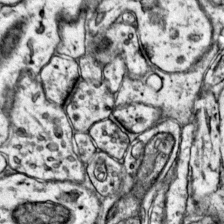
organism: Mouse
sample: Primary visual cortex